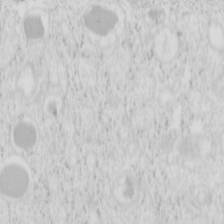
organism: Mouse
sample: Pancreas